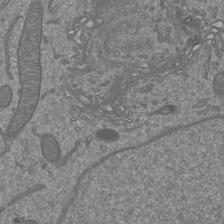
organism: Mouse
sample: Cortical neurons